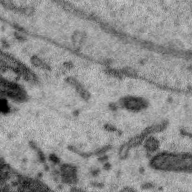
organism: Zebra finch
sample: Brain